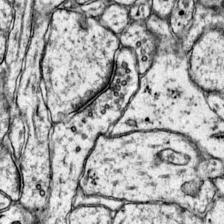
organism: Mouse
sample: Primary visual cortex